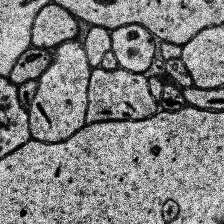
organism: Human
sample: Temporal Lobe